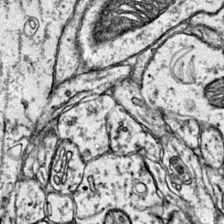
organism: Mouse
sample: Primary visual cortex